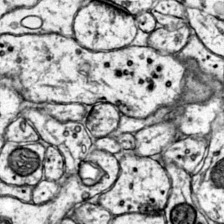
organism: Mouse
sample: Primary visual cortex